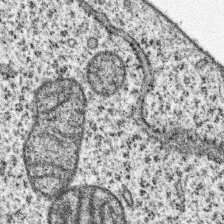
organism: Human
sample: HeLa cells